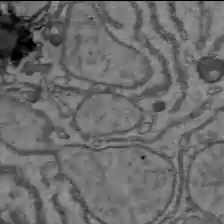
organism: C57BL Mouse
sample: Liver